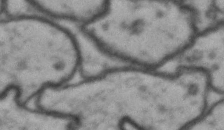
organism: Drosophila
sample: Brain